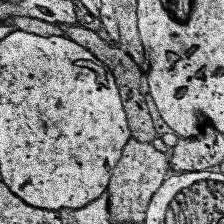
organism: Human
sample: Temporal Lobe